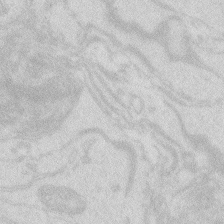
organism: Zebrafish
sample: Macrophage